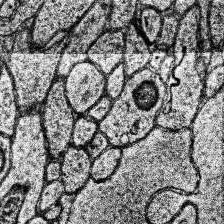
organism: Human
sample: Temporal Lobe